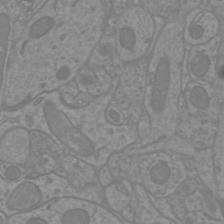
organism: Mouse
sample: Cortical neurons